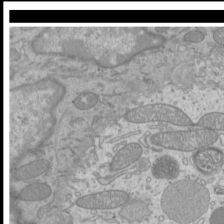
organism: Mouse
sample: Cilia; mouse epididymis